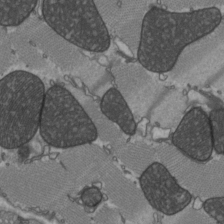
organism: C57BL Mouse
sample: Heart